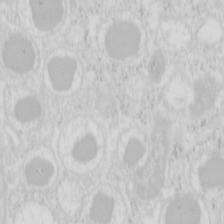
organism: Mouse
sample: Pancreas